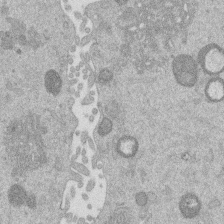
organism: Mouse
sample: Dividing mouse embryo 1 cell stage